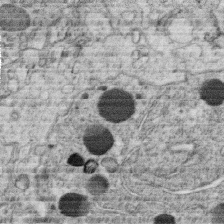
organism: C. elegans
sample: C. elegans oocyte; sperm cells